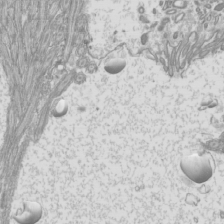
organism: Mouse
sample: Cilia; mouse epididymis